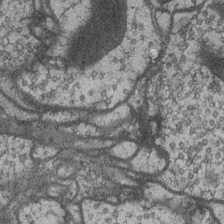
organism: Drosophila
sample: Optic medulla